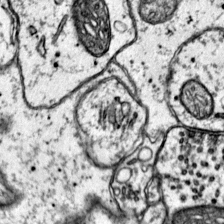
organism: Mouse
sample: Primary visual cortex